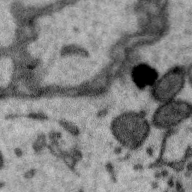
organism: Zebra finch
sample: Brain